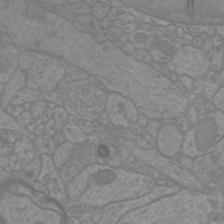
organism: Mouse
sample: Cortical neurons